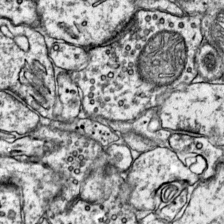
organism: Mouse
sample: Primary visual cortex